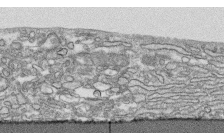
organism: Human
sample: CRL-1474